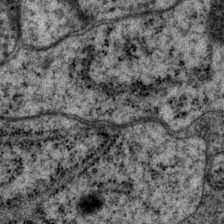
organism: P. pacificus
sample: Pharynx